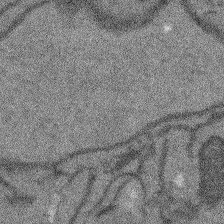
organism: Arabidopsis thaliana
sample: Root tip